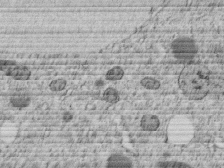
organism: C. elegans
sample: C. elegans embryo early stage